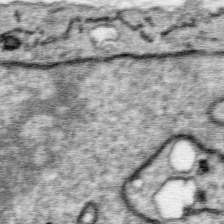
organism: Human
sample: HeLa cells